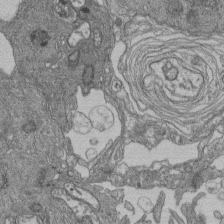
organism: Human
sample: Retinal organoid Rod and Cone cells